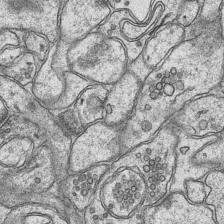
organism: Mouse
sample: CA1 Hippocampus